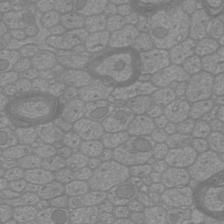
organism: Mouse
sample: Cortical neurons